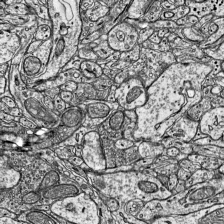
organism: Mouse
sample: Visual Cortex